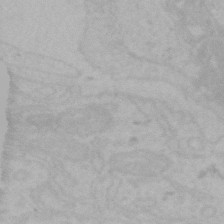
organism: Mouse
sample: Choroid plexus